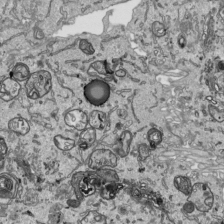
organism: Human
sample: Mitochondria in HCT116 cells